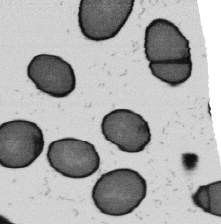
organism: B. subtilis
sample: Bacterial spore